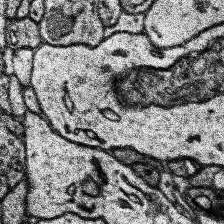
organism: Human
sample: Temporal Lobe